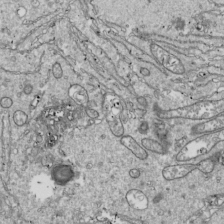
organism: Drosophila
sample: Cell division; meiosis; drosophila spermatocytes